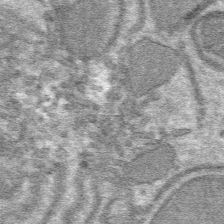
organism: Mouse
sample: Mouse hepatocytes